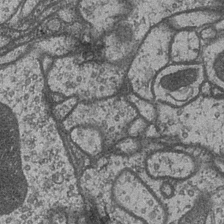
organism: Drosophila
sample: Optic medulla